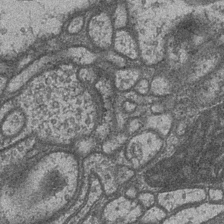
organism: Drosophila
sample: Optic medulla